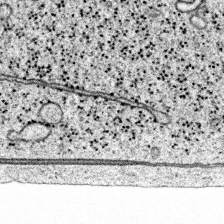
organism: Human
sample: HeLa cells